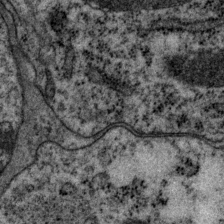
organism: P. pacificus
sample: Pharynx